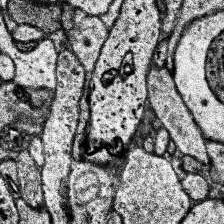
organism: Human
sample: Temporal Lobe